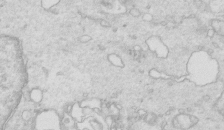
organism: Mouse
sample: Multiciliated cells